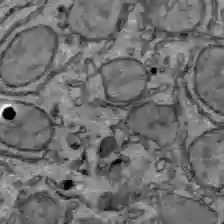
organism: C57BL Mouse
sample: Liver